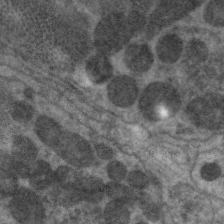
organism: C. elegans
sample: Pharynx